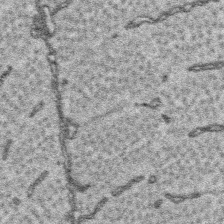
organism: Platynereis dumerilii